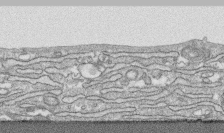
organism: Human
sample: CRL-1474